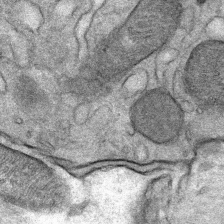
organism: Mouse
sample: Mouse Salivary gland